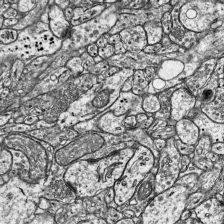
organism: Mouse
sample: Visual Cortex